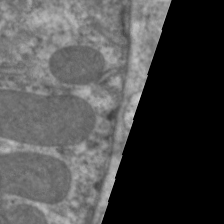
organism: C. elegans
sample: Pharynx